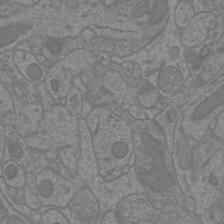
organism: Mouse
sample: Cortical neurons